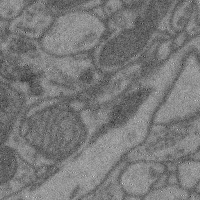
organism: Mouse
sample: Cerebral cortex